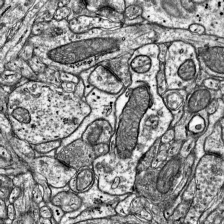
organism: Mouse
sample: Visual Cortex